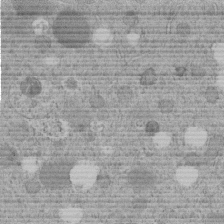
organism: C. elegans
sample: C. elegans embryo early stage